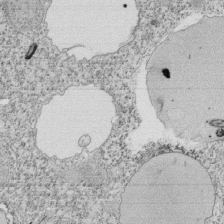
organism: Tetrahymena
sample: Cilia in tetrahymena